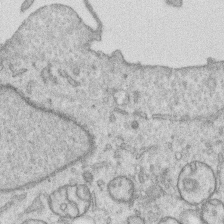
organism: Human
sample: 1205lu cells